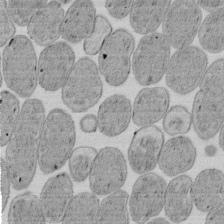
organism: E. coli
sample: Bacterial nucleoid